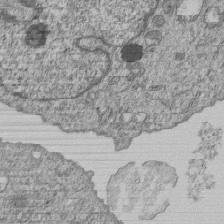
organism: Human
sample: MDA-MB-231 cells